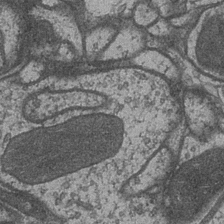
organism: Drosophila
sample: Optic medulla